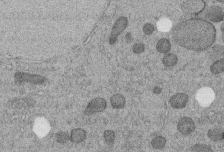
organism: C. elegans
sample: C. elegans embryo early stage